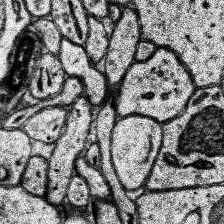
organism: Human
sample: Temporal Lobe